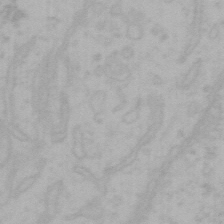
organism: Mouse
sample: Choroid plexus